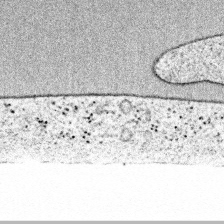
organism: Human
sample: HeLa cells